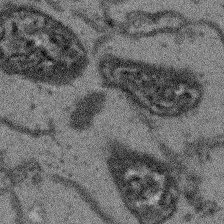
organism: Arabidopsis thaliana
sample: Root tip